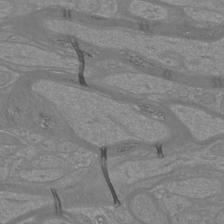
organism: Mouse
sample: Cortical neurons